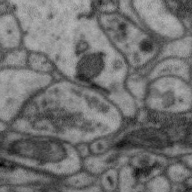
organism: Zebra finch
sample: Brain